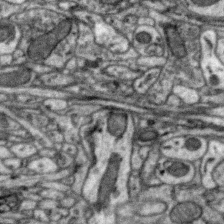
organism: Zebra finch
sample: Brain